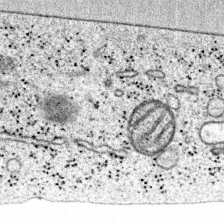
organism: Human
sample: HeLa cells